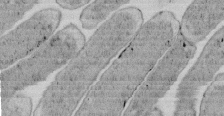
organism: E. coli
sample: Bacterial nucleoid